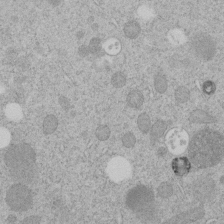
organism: C. elegans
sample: C. elegans embryo early stage